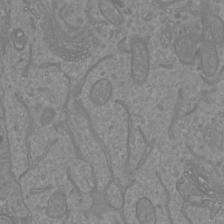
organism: Mouse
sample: Cortical neurons